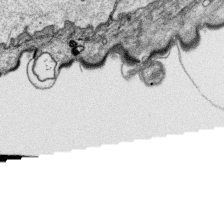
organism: Platynereis dumerilii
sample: Parapodia